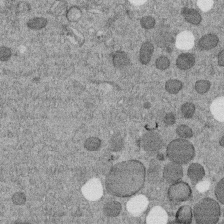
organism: C. elegans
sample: C. elegans embryo early stage